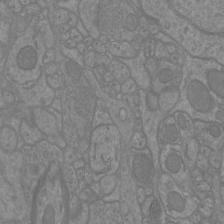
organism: Mouse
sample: Cortical neurons